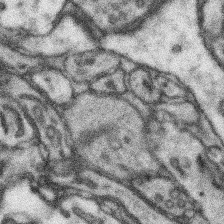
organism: Mouse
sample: Somatosensory cortex neuropil